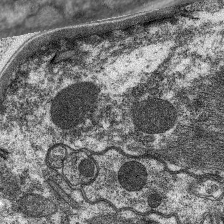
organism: C. elegans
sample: Pharynx